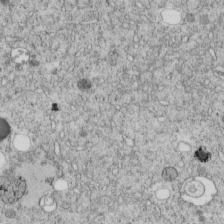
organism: C. elegans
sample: C. elegans embryo early stage